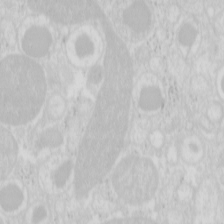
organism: Mouse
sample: Pancreas